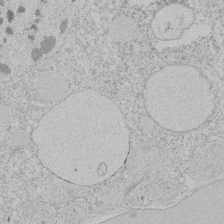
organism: Tetrahymena